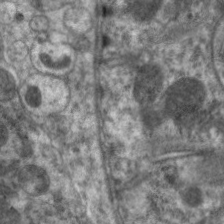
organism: C. elegans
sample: Pharynx